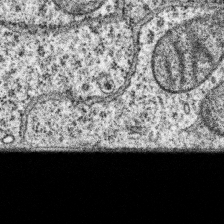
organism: Human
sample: HeLa cells